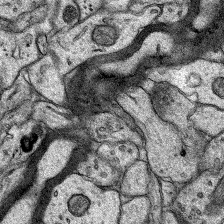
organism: Rat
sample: Hippocampus